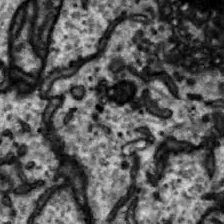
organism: Human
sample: HeLa cells